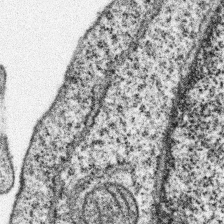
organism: Human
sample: HeLa cells